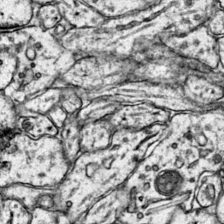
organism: Mouse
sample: Primary visual cortex